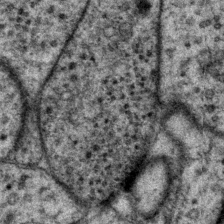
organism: P. pacificus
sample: Pharynx